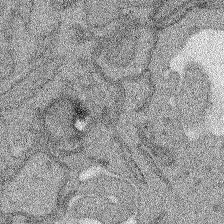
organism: Human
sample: HeLa cells